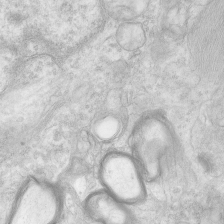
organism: Human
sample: Neocortex